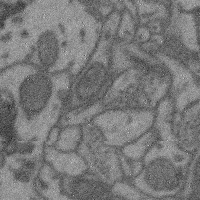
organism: Mouse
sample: Cerebral cortex